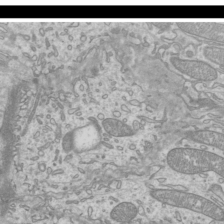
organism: Mouse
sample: Cilia; mouse epididymis